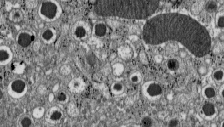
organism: C57BL Mouse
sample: Pancreatic islet